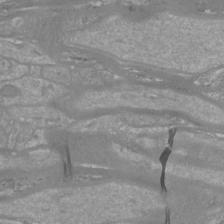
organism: Mouse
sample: Cortical neurons